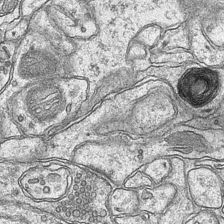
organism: Mouse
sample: CA1 Hippocampus